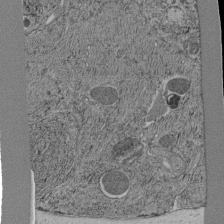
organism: C. elegans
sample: C. elegans pharynx